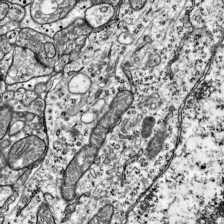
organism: Mouse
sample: Visual Cortex